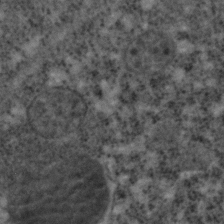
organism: C. elegans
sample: C. elegans embryo